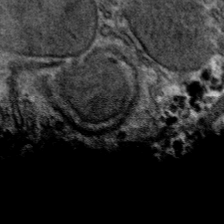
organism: Mouse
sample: Mouse hepatocytes